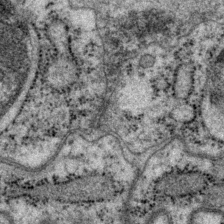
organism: P. pacificus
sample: Pharynx